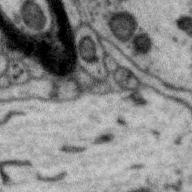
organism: Zebra finch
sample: Brain